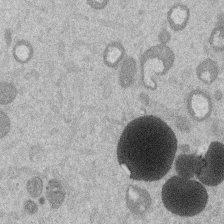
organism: Mouse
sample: Dividing mouse embryo 1 cell stage